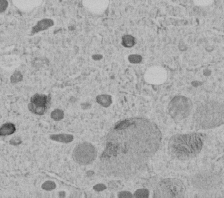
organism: C. elegans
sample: C. elegans embryo early stage